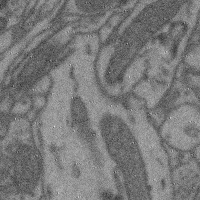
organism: Mouse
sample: Cerebral cortex